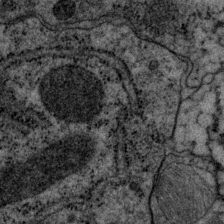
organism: P. pacificus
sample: Pharynx